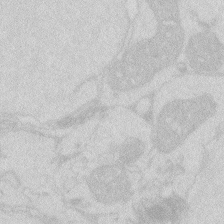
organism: Zebrafish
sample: Macrophage